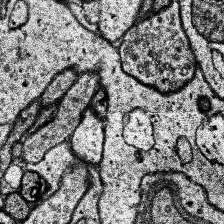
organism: Human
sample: Temporal Lobe